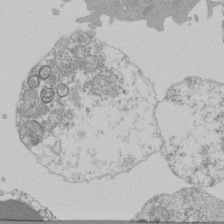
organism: Mouse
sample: Activated Pmel transgenic CD8+ T Cells